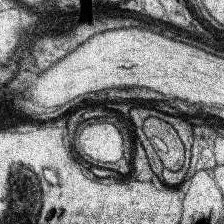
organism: Human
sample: Temporal Lobe